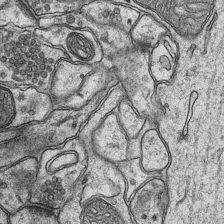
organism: Mouse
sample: CA1 Hippocampus